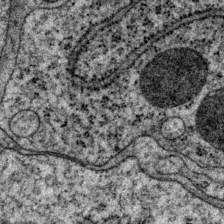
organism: P. pacificus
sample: Pharynx